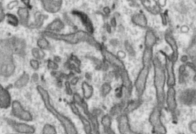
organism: Toxoplasma gondii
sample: Parasites in a vacuole inside a host cell